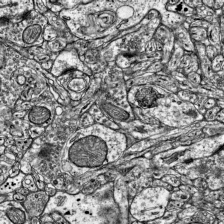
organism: Mouse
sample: Visual Cortex